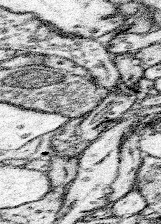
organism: Mouse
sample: Somatosensory cortex neuropil